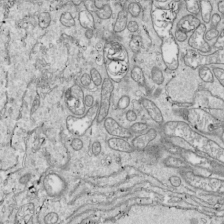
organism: Drosophila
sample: Cell division; meiosis; drosophila spermatocytes